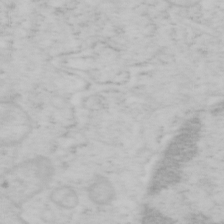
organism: Mouse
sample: OT-I killer T cells with ID8 ovarian cancer cells